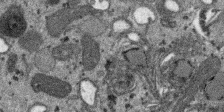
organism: Human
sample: Lung epithelial cells infected with SARS-CoV-2